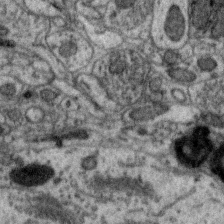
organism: Zebra finch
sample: Brain